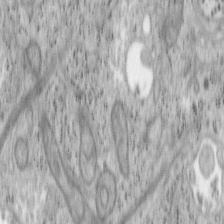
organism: Human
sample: HeLa cells